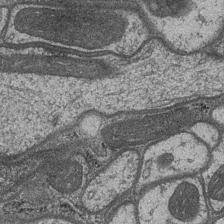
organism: Drosophila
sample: Optic medulla